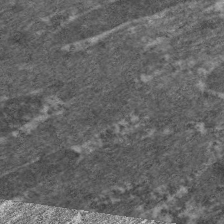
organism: C. elegans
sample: Pharynx